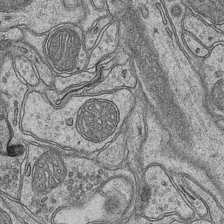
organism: Mouse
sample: CA1 Hippocampus